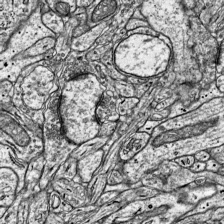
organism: Mouse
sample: Visual Cortex